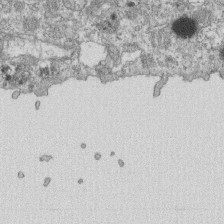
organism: Human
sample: HeLa cell HIV synapse